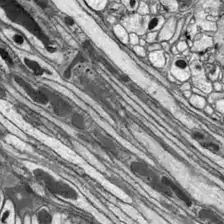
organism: Drosophila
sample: Optic lobe